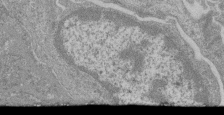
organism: Mouse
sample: Glomerulus